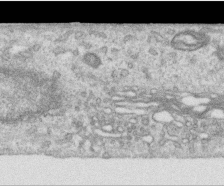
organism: Human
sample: Centriole in RPE cells